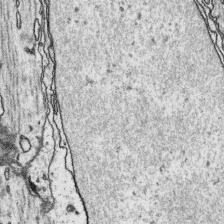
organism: Platynereis dumerilii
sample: Parapodia